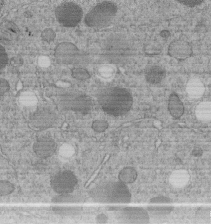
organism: C. elegans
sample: C. elegans embryo early stage